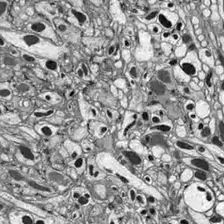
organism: Drosophila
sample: Optic lobe